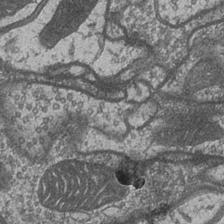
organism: Drosophila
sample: Optic medulla